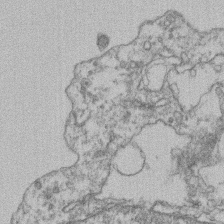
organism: Mouse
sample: T cell stromal cell synapse